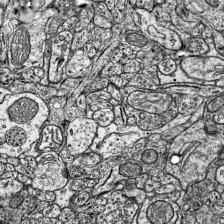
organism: Mouse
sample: Visual Cortex